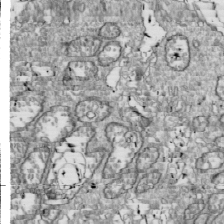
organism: Drosophila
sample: Cell division; meiosis; drosophila spermatocytes